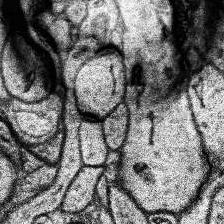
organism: Human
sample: Temporal Lobe